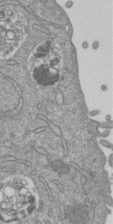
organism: Mouse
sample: ED-1 cell nuclei; centrioles